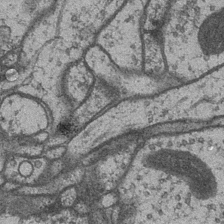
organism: Drosophila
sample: Optic medulla